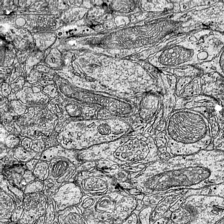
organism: Mouse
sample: Visual Cortex